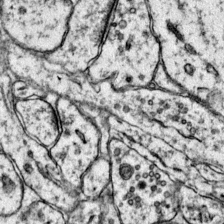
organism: Mouse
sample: Primary visual cortex